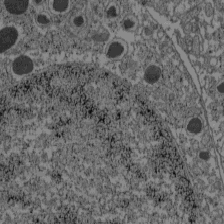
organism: C57BL Mouse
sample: Pancreatic islet